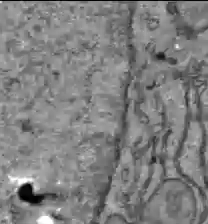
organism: C57BL Mouse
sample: Liver